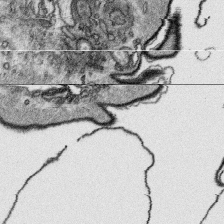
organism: Platynereis dumerilii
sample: Parapodia